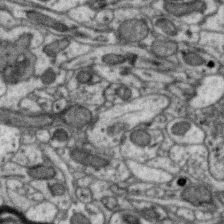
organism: Zebra finch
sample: Brain